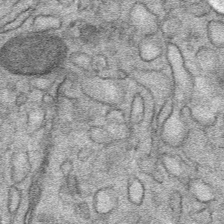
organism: Mouse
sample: Mouse Salivary gland